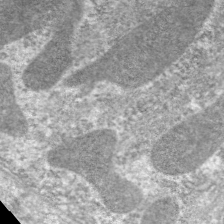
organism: C. elegans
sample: Pharynx